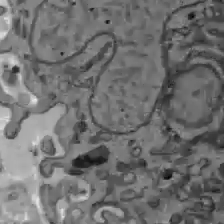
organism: C57BL Mouse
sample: Liver